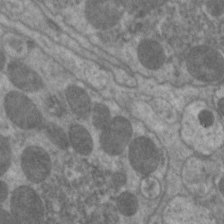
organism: C. elegans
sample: Pharynx